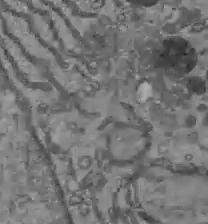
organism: C57BL Mouse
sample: Liver